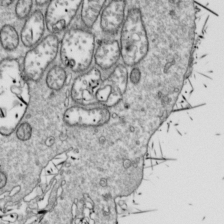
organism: Drosophila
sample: Cell division; meiosis; drosophila spermatocytes